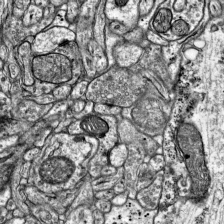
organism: Mouse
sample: Visual Cortex